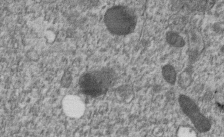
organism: C. elegans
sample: C. elegans embryo early stage